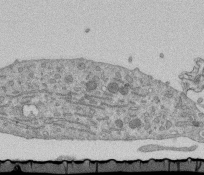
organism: Mouse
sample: ED-1 cell nuclei; centrioles